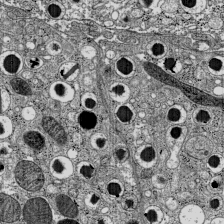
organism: C57BL Mouse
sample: Pancreatic islet